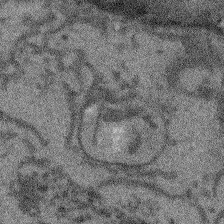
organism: Arabidopsis thaliana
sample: Root tip